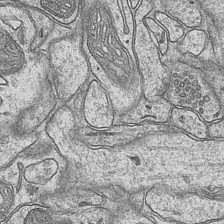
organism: Mouse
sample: CA1 Hippocampus